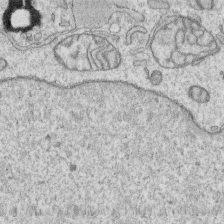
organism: Human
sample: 1205lu cells